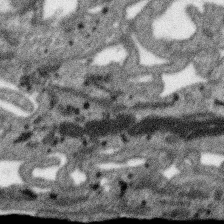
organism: Human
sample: Lung epithelial cells infected with SARS-CoV-2